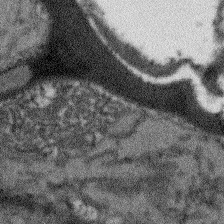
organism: Arabidopsis thaliana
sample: Root tip